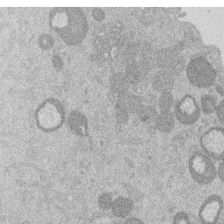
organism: Mouse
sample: Dividing mouse embryo 1 cell stage